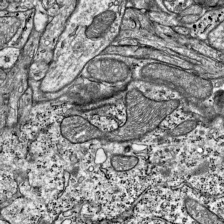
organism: Mouse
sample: Visual Cortex